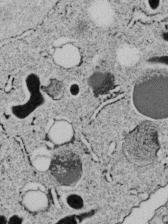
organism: C. elegans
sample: C. elegans embryo early stage